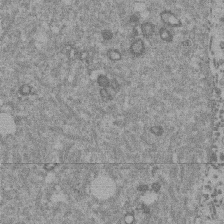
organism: Mouse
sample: Dividing mouse embryo 1 cell stage